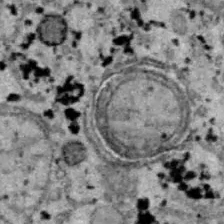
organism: Mouse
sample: Liver from an obese (ob/ob) mouse